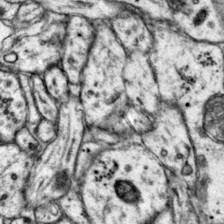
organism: Mouse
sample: Primary visual cortex